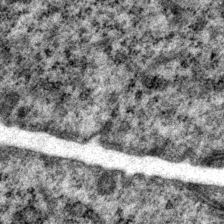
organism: P. pacificus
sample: Pharynx